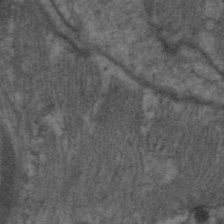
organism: C. elegans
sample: Pharynx